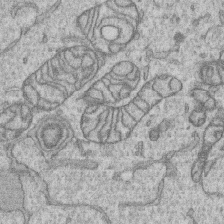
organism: Human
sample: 1205lu cells